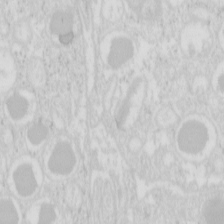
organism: Mouse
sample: Pancreas